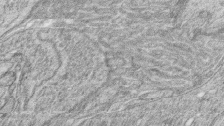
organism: Zebrafish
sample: synaptic ribbons in rod cells and cone cells